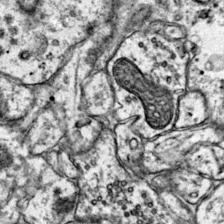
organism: Mouse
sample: Primary visual cortex